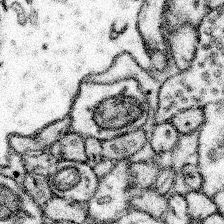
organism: Mouse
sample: Somatosensory cortex neuropil